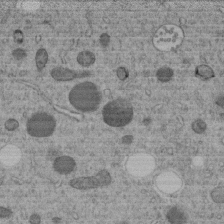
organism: C. elegans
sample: C. elegans embryo early stage